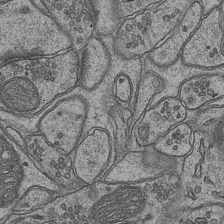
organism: Mouse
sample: CA1 Hippocampus